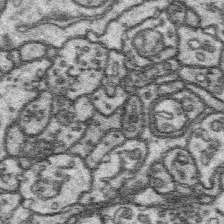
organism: Platynereis dumerilii